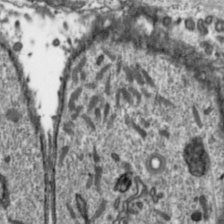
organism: Toxoplasma gondii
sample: Parasites in a vacuole inside a host cell